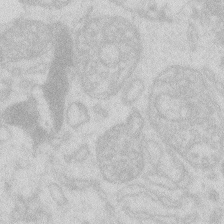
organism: Zebrafish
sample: Macrophage